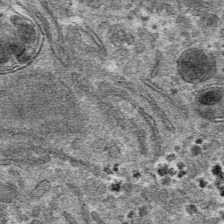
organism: Mouse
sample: Mouse hepatocytes